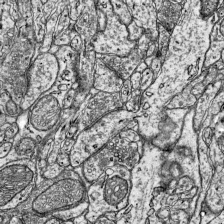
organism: Mouse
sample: Visual Cortex